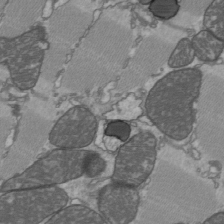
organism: C57BL Mouse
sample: Heart